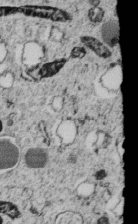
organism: C. elegans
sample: C. elegans embryo early stage